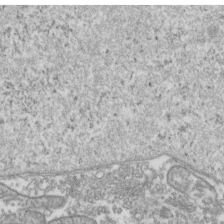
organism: Human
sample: Activated Jurkat CD4+ T cells